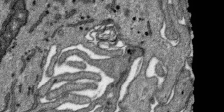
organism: Human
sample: Lung epithelial cells, uninfected (mock) control